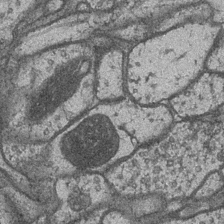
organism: Drosophila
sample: Optic medulla